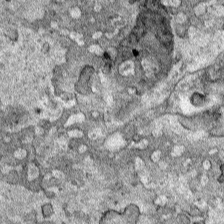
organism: Human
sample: Mitochondria in HCT116 cells